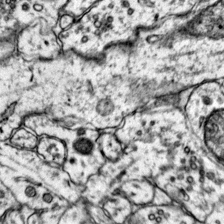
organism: Mouse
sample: Primary visual cortex